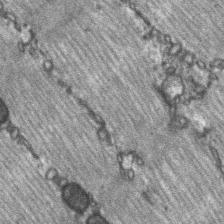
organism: C57BL Mouse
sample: Soleus